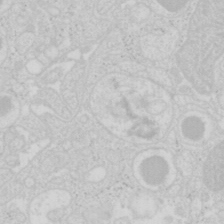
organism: Mouse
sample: Pancreas